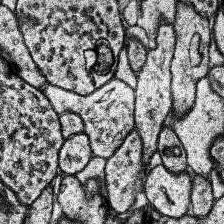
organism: Human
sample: Temporal Lobe